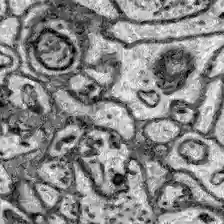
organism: Zebrafish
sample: Brain